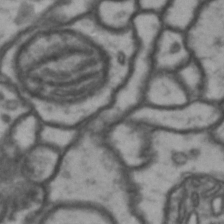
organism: Drosophila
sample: Brain